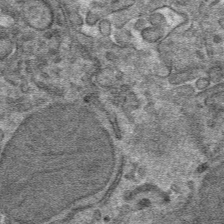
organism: Mouse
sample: Mouse hepatocytes